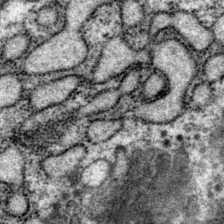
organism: P. pacificus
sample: Pharynx